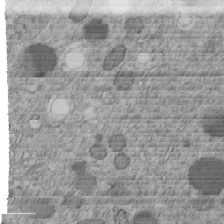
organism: C. elegans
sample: C. elegans embryo early stage